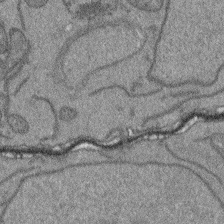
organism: Arabidopsis thaliana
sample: Root tip